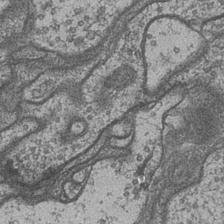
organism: Drosophila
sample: Optic medulla